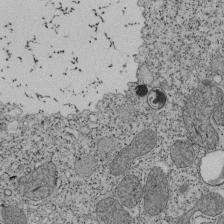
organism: Tetrahymena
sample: Cilia in tetrahymena